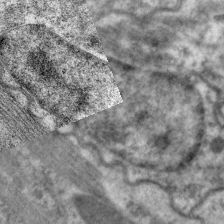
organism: C. elegans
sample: Pharynx